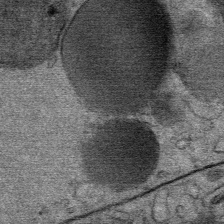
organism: Mouse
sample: Mouse Salivary gland